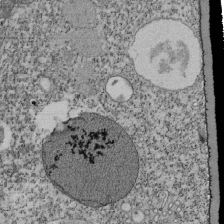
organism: Tetrahymena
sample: Cilia in tetrahymena